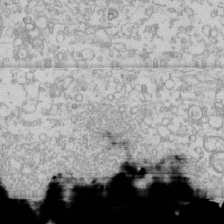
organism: Human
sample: CRL-1474